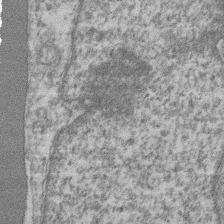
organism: Mouse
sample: T cell stromal cell synapse